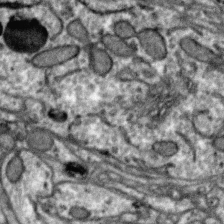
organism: Zebra finch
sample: Brain